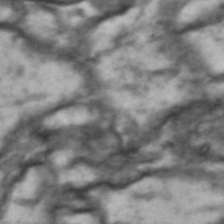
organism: Drosophila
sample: Brain